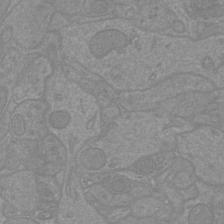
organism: Mouse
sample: Cortical neurons